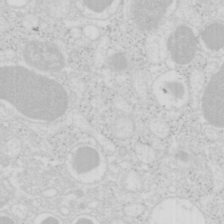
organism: Mouse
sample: Pancreas